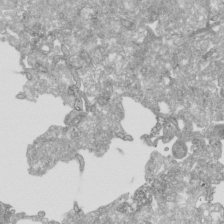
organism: Human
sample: Mitochondria in HCT116 cells